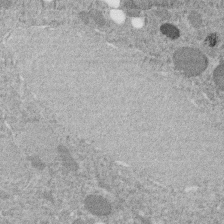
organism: C. elegans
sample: C. elegans embryo early stage